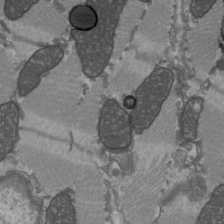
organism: C57BL Mouse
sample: Heart